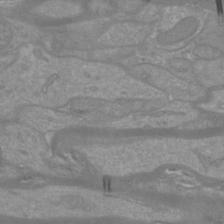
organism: Mouse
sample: Cortical neurons